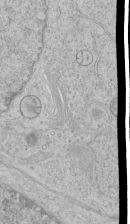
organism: Human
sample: Mitochondria in HCT116 cells